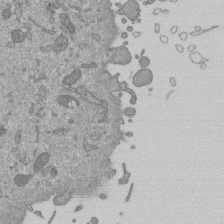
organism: Mouse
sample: ED-1 cell nuclei; centrioles